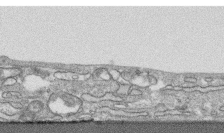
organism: Human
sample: CRL-1474